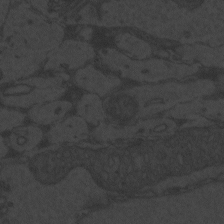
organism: Zebrafish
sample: Macrophage infected with Toxoplasma gondii